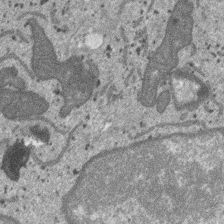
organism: Human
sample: Lung epithelial cells infected with SARS-CoV-2